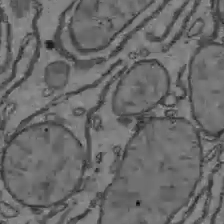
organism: C57BL Mouse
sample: Liver